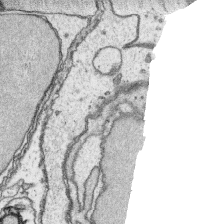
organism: Platynereis dumerilii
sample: Parapodia